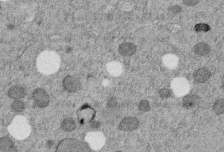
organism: C. elegans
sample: C. elegans embryo early stage